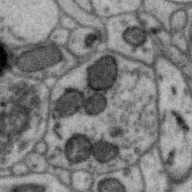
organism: Zebra finch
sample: Brain